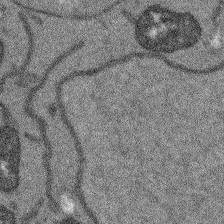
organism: Arabidopsis thaliana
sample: Root tip